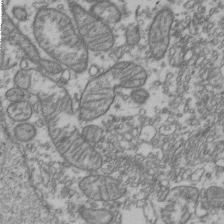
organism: Human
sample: Activated Jurkat CD4+ T cells